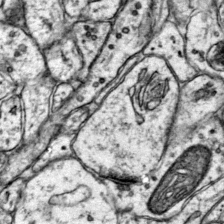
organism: Mouse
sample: Primary visual cortex